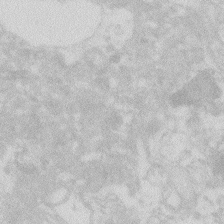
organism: Zebrafish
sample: Macrophage